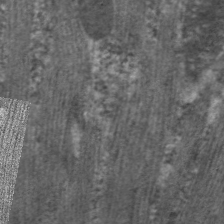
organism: C. elegans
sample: Pharynx